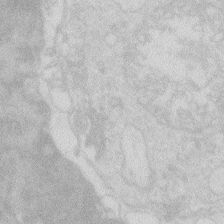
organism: Zebrafish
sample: Macrophage